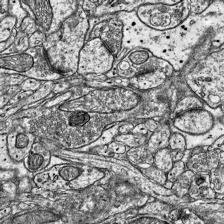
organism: Mouse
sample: Visual Cortex